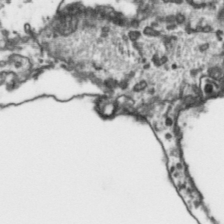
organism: Toxoplasma gondii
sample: Parasites in a vacuole inside a host cell